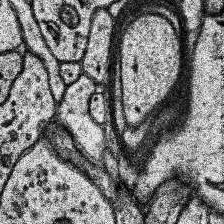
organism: Human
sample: Temporal Lobe